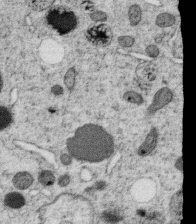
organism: C. elegans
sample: C. elegans oocyte; sperm cells